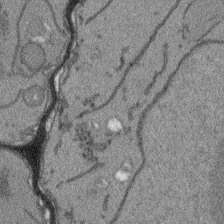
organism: Arabidopsis thaliana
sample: Root tip